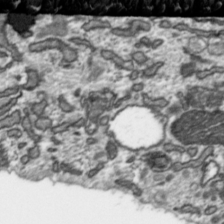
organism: Toxoplasma gondii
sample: Parasites in a vacuole inside a host cell